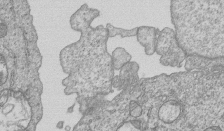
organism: Human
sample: MDA-MB-231 cells